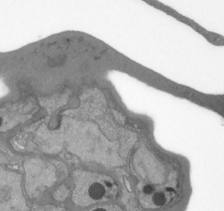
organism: Plasmodium falciparum